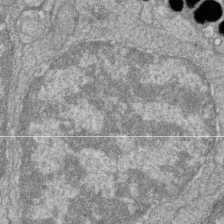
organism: Zebrafish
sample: Cilia; retinal pigment epithelium